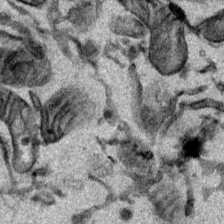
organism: Mouse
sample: Cancer cell death in ED-1 cells